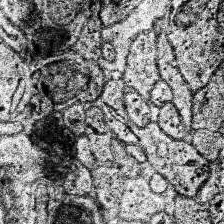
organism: Human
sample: Temporal Lobe